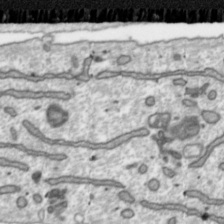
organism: Toxoplasma gondii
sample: Parasites in a vacuole inside a host cell